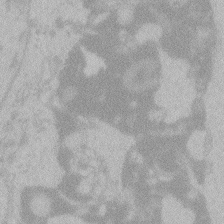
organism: Zebrafish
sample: Macrophage infected with Toxoplasma gondii